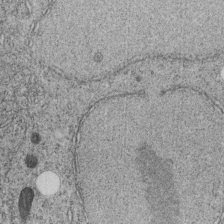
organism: C. elegans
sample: C. elegans embryo early stage